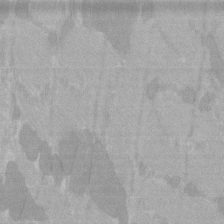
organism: C57BL Mouse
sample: Tibialis anterior muscle cell